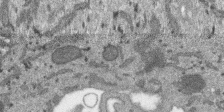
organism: Human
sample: Lung epithelial cells infected with SARS-CoV-2